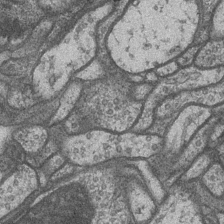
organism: Drosophila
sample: Optic medulla